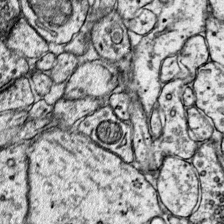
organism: Mouse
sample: Primary visual cortex